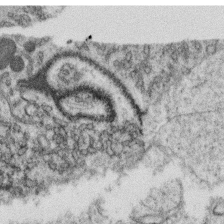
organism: C. elegans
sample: C. elegans oocyte; sperm cells